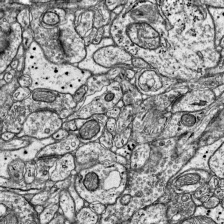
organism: Mouse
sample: Visual Cortex